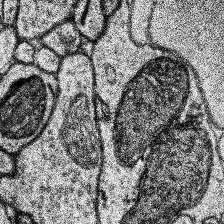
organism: Human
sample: Temporal Lobe